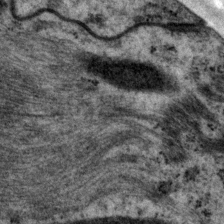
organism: P. pacificus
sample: Pharynx